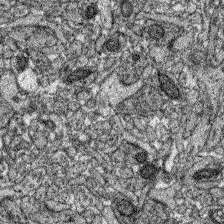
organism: Zebrafish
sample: Larval olfactory bulb